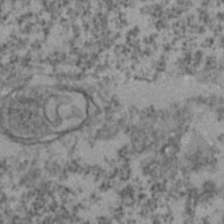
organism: Zebrafish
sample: Zebrafish embryo